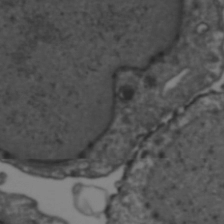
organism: Human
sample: HIV-1 Gag-iGFP